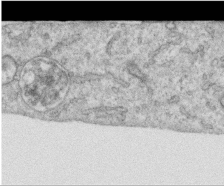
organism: Human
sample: Centriole in RPE cells